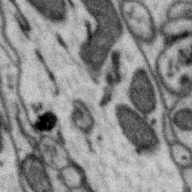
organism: Zebra finch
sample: Brain